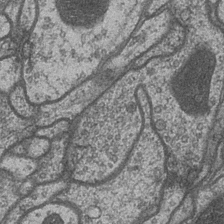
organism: Drosophila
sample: Optic medulla